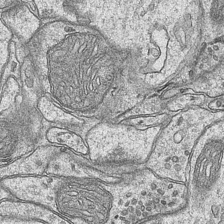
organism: Mouse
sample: CA1 Hippocampus